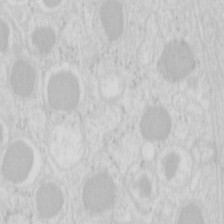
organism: Mouse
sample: Pancreas